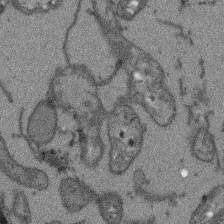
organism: Arabidopsis thaliana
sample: Root tip